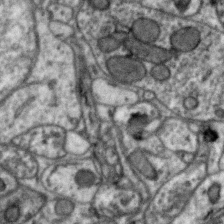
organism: Zebra finch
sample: Brain